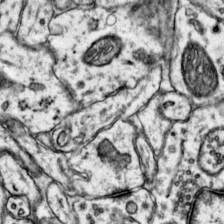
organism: Mouse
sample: Primary visual cortex